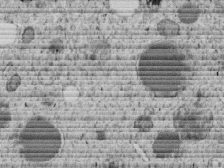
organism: C. elegans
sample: C. elegans embryo early stage